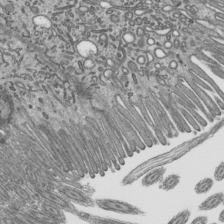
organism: Mouse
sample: Mouse epididymis efferent ductule cilia